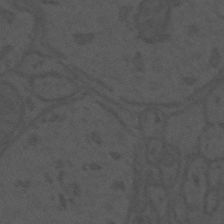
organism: Mouse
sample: Suprachiasmatic nucleus